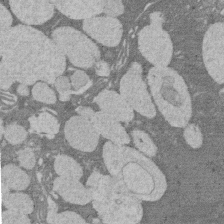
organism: Rat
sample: Salivary granule